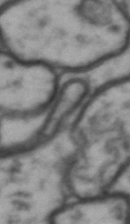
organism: Drosophila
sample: Brain